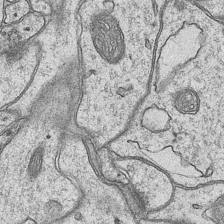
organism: Mouse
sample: CA1 Hippocampus